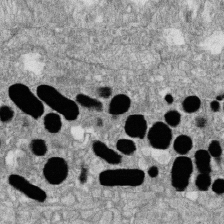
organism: Zebrafish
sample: Cilia; retinal pigment epithelium